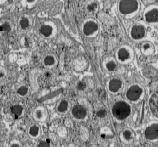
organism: C57BL Mouse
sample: Pancreatic islet